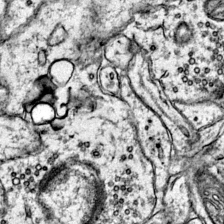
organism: Mouse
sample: Primary visual cortex